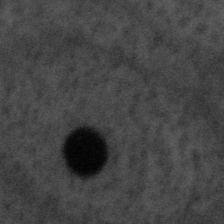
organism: Tuwongella immobilis